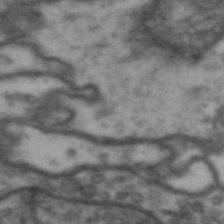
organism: Drosophila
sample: Brain